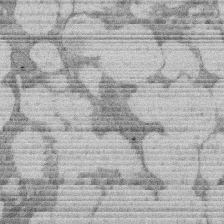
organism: Rat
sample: Salivary granule